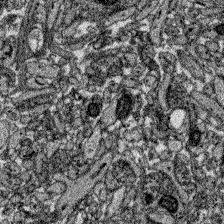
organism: Zebrafish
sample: Larval olfactory bulb